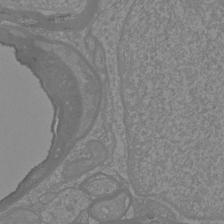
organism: Mouse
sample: Cortical neurons